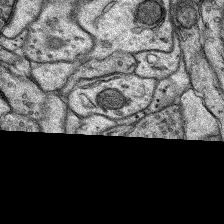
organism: Rat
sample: Hippocampus